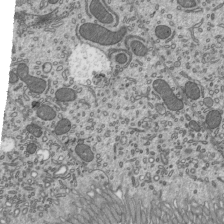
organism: Mouse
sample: Mouse epididymis efferent ductule cilia